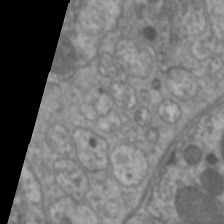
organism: C. elegans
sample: Pharynx